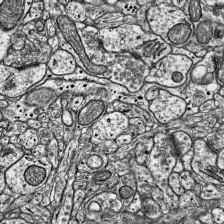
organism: Mouse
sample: Visual Cortex